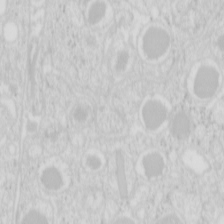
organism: Mouse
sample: Pancreas